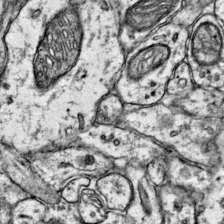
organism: Mouse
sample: Primary visual cortex